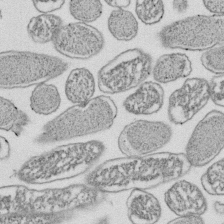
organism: E. coli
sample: Bacterial nucleoid